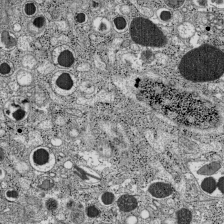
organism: C57BL Mouse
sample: Pancreatic islet